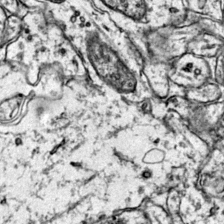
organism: Mouse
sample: Primary visual cortex